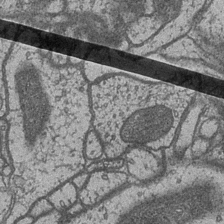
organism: Drosophila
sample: Optic medulla